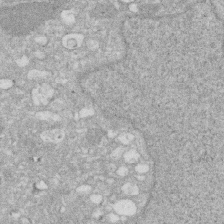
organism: Human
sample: HIV infected U937 cells